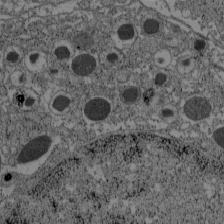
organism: C57BL Mouse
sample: Pancreatic islet